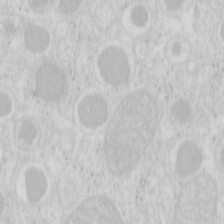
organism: Mouse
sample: Pancreas